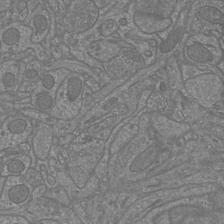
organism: Mouse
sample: Cortical neurons